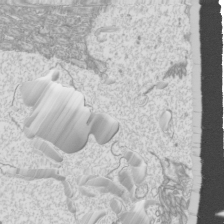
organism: Mouse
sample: Cilia; mouse epididymis